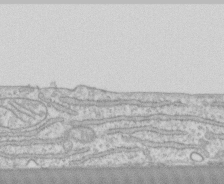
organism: Human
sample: CRL-1474